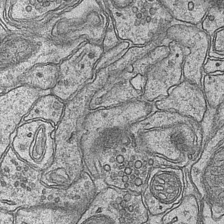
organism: Mouse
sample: CA1 Hippocampus